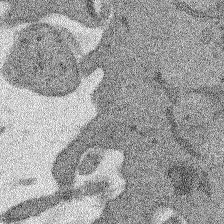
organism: Human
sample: HeLa cells